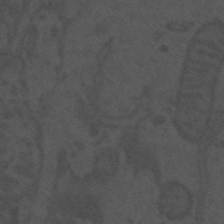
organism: Mouse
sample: Suprachiasmatic nucleus